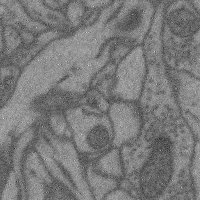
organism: Mouse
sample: Cerebral cortex